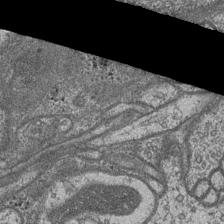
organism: Drosophila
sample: Optic medulla